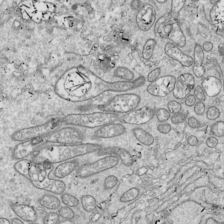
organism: Drosophila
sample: Cell division; meiosis; drosophila spermatocytes